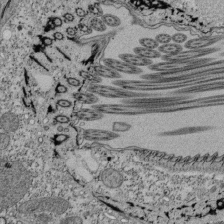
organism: Tetrahymena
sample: Cilia in tetrahymena